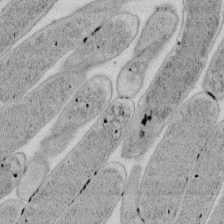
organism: E. coli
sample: Bacterial nucleoid